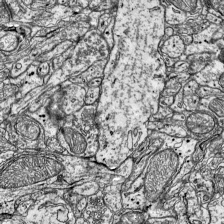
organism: Mouse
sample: Visual Cortex